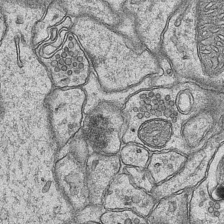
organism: Mouse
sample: CA1 Hippocampus